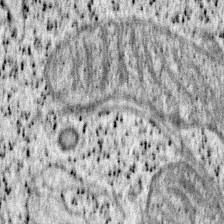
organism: Human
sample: HeLa cells